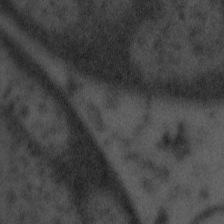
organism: Tuwongella immobilis